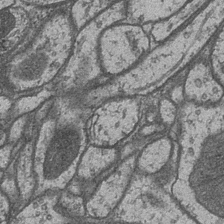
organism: Drosophila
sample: Optic medulla